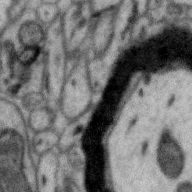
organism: Zebra finch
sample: Brain